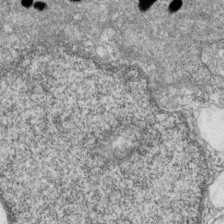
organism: Zebrafish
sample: Cilia; retinal pigment epithelium